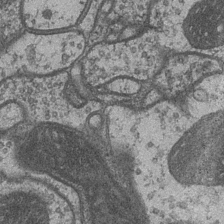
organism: Drosophila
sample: Optic medulla